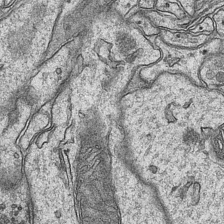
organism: Mouse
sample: CA1 Hippocampus